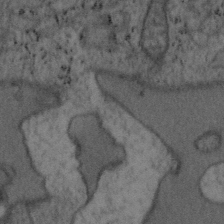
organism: Human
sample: HeLa cells